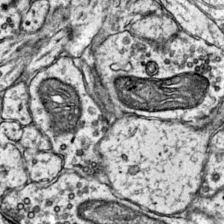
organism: Mouse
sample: Primary visual cortex